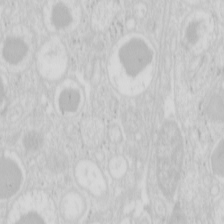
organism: Mouse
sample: Pancreas